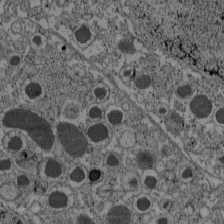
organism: C57BL Mouse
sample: Pancreatic islet